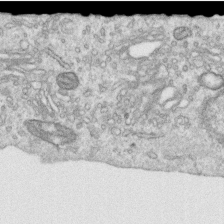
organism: Human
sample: Centriole in RPE cells